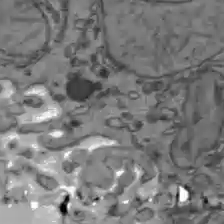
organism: C57BL Mouse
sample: Liver